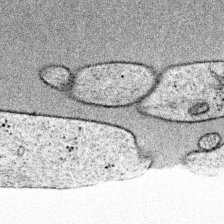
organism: Human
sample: HeLa cells